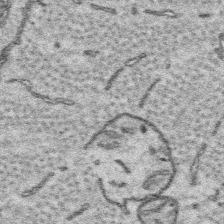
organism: Platynereis dumerilii